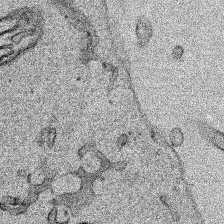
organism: Human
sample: Mitochondria in HCT116 cells